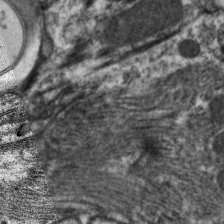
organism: C. elegans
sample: Pharynx